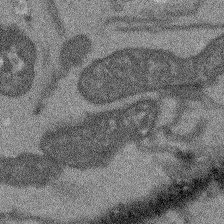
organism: Arabidopsis thaliana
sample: Root tip